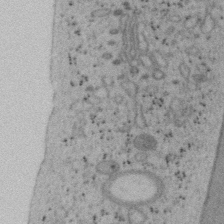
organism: Human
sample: HeLa cells